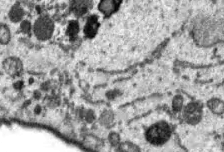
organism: Human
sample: HeLa cells